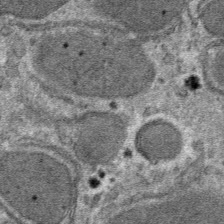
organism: Mouse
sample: Mouse hepatocytes